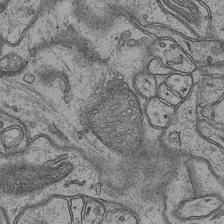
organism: Mouse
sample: CA1 Hippocampus